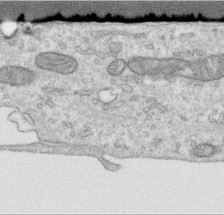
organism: Human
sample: Centriole in RPE cells